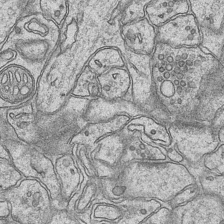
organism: Mouse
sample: CA1 Hippocampus